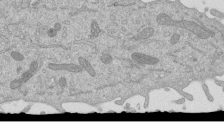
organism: Mouse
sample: ED-1 cell nuclei; centrioles